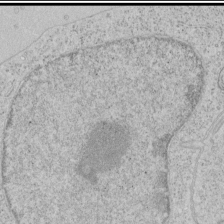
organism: Human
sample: Mitochondria in HCT116 cells